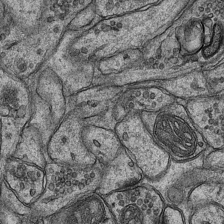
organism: Mouse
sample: CA1 Hippocampus